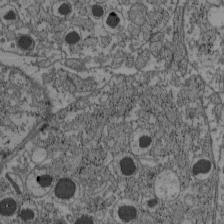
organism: C57BL Mouse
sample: Pancreatic islet